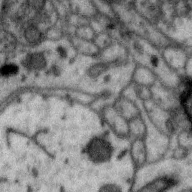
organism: Zebra finch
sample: Brain